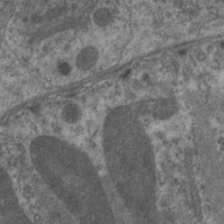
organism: C. elegans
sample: Pharynx